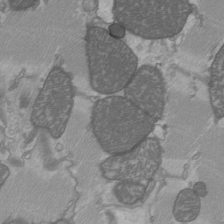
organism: C57BL Mouse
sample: Heart